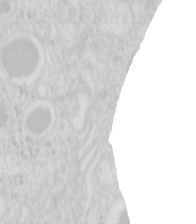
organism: Mouse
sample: Pancreas